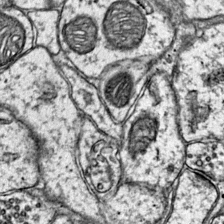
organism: Mouse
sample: Primary visual cortex